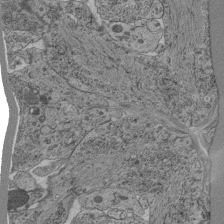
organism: C. elegans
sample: C. elegans pharynx